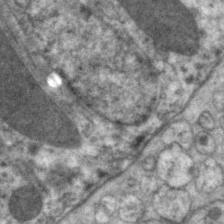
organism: C. elegans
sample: Pharynx